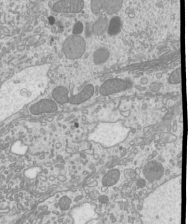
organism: Mouse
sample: Cilia; mouse epididymis